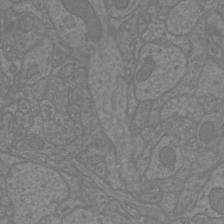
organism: Mouse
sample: Cortical neurons